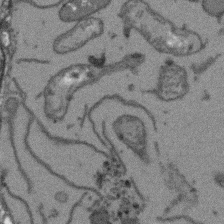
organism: Arabidopsis thaliana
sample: Root tip